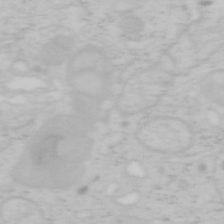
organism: Mouse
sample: OT-I killer T cells with ID8 ovarian cancer cells